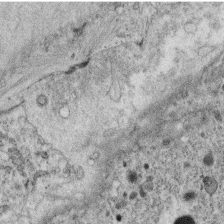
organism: C. elegans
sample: C. elegans oocyte; sperm cells